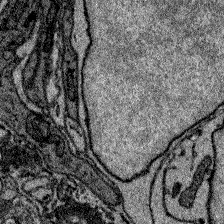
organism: Zebrafish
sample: Larval olfactory bulb